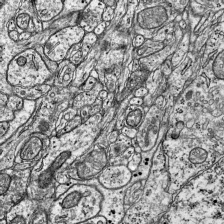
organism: Mouse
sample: Visual Cortex